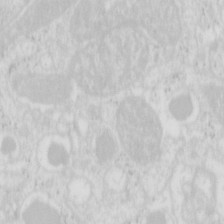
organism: Mouse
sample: Pancreas